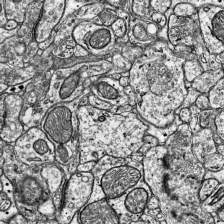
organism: Mouse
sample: Visual Cortex